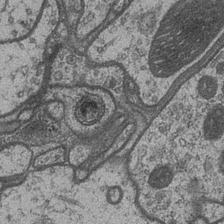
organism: Drosophila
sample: Optic medulla